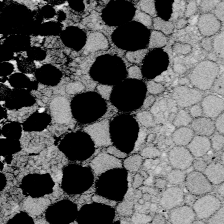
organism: Zebrafish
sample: Whole-Brain